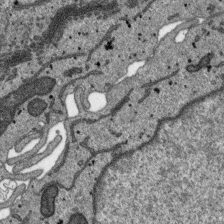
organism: Human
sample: Lung epithelial cells, uninfected (mock) control